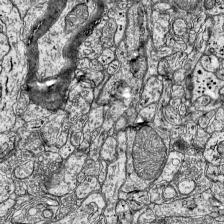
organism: Mouse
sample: Visual Cortex